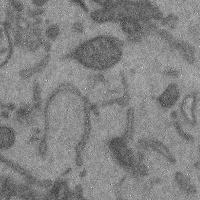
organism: Mouse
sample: Cerebral cortex